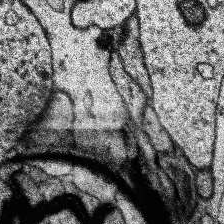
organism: Human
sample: Temporal Lobe